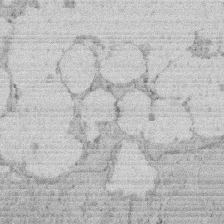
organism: Rat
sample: Salivary granule